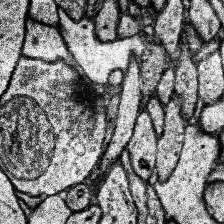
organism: Human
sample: Temporal Lobe